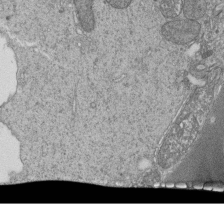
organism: Tetrahymena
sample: Cilia in tetrahymena